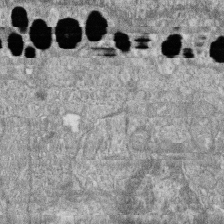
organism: Zebrafish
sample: Cilia; retinal pigment epithelium